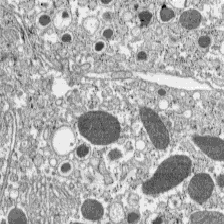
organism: C57BL Mouse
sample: Pancreatic islet